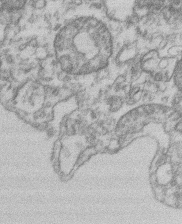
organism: Mouse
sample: T cell stromal cell synapse